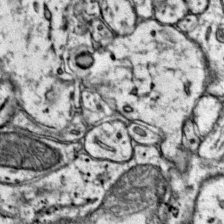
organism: Mouse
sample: Primary visual cortex